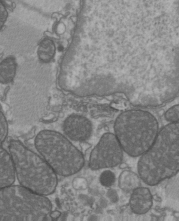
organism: C57BL Mouse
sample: Heart